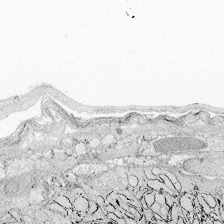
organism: Zebrafish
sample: Whole-Brain